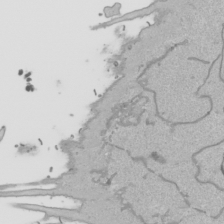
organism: Human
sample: Mitochondria in HCT116 cells